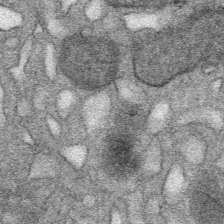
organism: Mouse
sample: Mouse Salivary gland